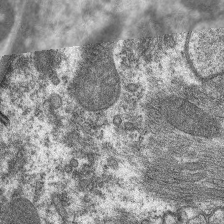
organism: C. elegans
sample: Pharynx